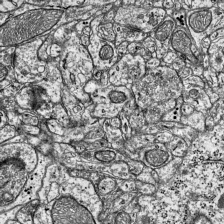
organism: Mouse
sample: Visual Cortex